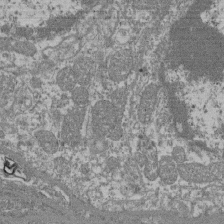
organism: Mouse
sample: Glomerulus